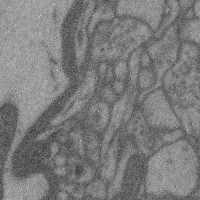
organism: Mouse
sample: Cerebral cortex